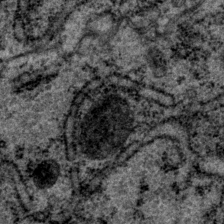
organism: P. pacificus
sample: Pharynx